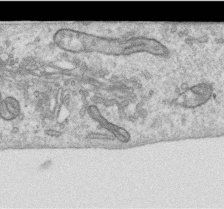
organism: Human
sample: Centriole in RPE cells